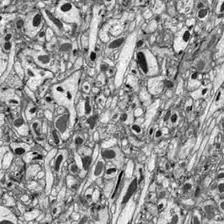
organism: Drosophila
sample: Optic lobe